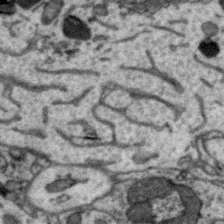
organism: Zebra finch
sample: Brain